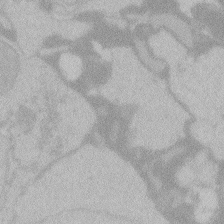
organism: Zebrafish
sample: Macrophage infected with Toxoplasma gondii